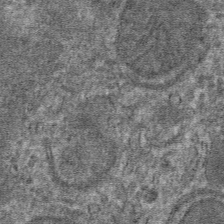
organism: Mouse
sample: Mouse hepatocytes